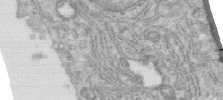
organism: Human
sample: Centriole in RPE cells